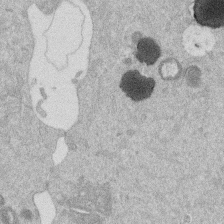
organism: Mouse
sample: Dividing mouse embryo 1 cell stage